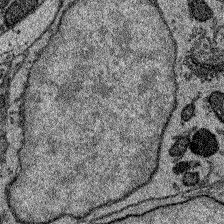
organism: Zebrafish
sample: Larval olfactory bulb